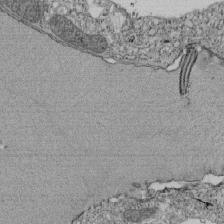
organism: Tetrahymena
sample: Cilia in tetrahymena